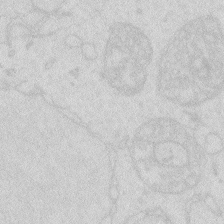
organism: Zebrafish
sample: Macrophage